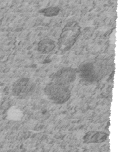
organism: C. elegans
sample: C. elegans embryo early stage